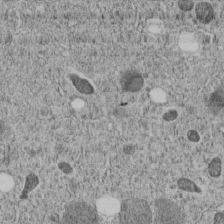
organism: C. elegans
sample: C. elegans embryo early stage